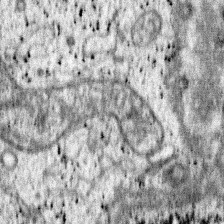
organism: Human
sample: HeLa cells